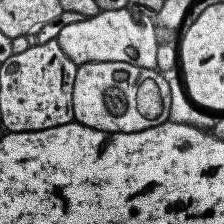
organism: Human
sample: Temporal Lobe